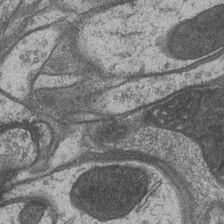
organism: Drosophila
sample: Optic medulla